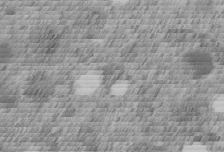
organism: C. elegans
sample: C. elegans embryo early stage